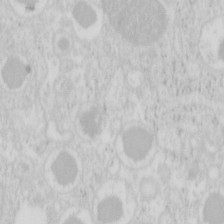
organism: Mouse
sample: Pancreas